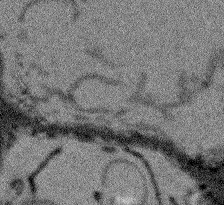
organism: Arabidopsis thaliana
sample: Root tip